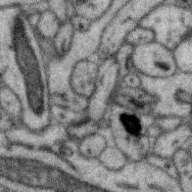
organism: Zebra finch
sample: Brain